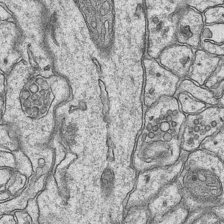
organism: Mouse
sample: CA1 Hippocampus